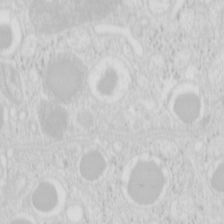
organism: Mouse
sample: Pancreas